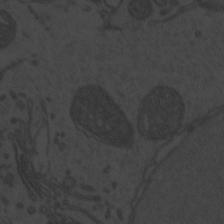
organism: Zebrafish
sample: Macrophage infected with Toxoplasma gondii